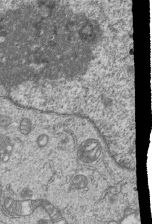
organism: Human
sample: MDA-MB-231 cells